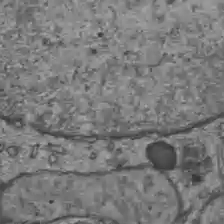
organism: C57BL Mouse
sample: Liver